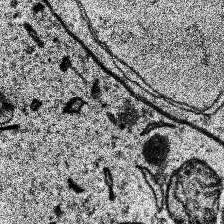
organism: Human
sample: Temporal Lobe